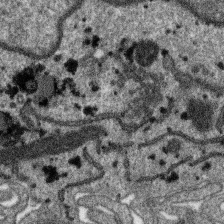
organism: Human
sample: Lung epithelial cells infected with SARS-CoV-2